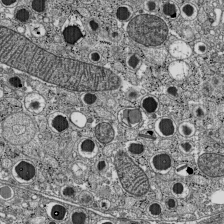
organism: C57BL Mouse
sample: Pancreatic islet